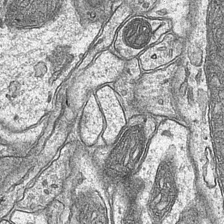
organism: Mouse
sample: CA1 Hippocampus